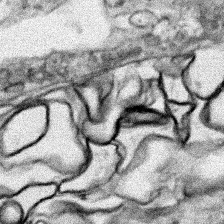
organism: Human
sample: Mitochondria in HCT116 cells